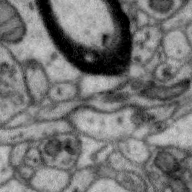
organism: Zebra finch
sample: Brain